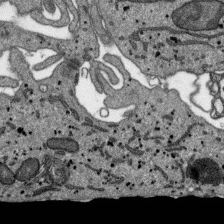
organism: Human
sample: Lung epithelial cells, uninfected (mock) control